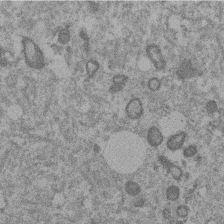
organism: Mouse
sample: Dividing mouse embryo 1 cell stage